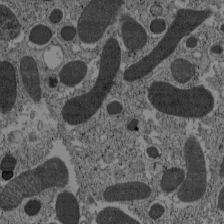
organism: C57BL Mouse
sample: Pancreatic islet